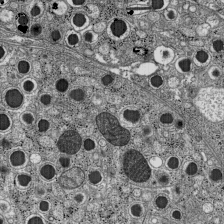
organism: C57BL Mouse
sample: Pancreatic islet